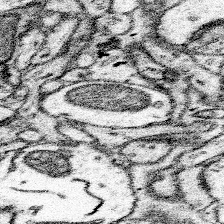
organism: Mouse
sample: Somatosensory cortex neuropil